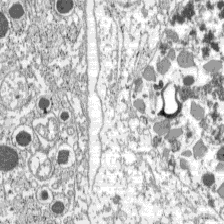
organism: C57BL Mouse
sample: Pancreatic islet